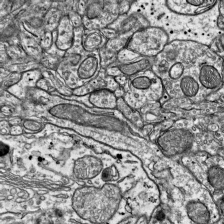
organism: Mouse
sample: Visual Cortex